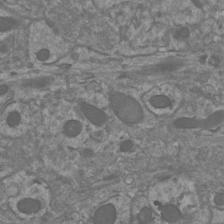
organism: Mouse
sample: Cortical neurons